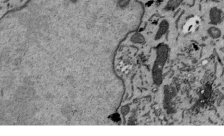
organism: Mouse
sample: ED-1 cell nuclei; centrioles